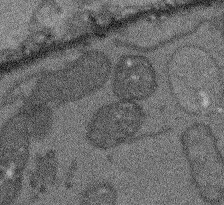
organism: Arabidopsis thaliana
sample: Root tip